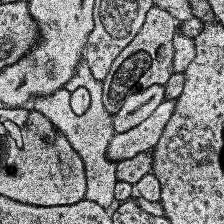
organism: Human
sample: Temporal Lobe